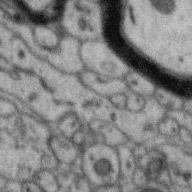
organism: Zebra finch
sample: Brain